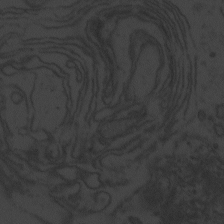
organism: Zebrafish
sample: Macrophage infected with Toxoplasma gondii